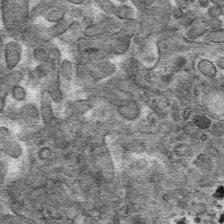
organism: Mouse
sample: Mouse hepatocytes